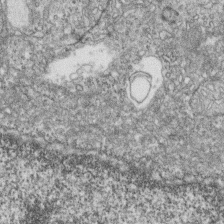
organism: Zebrafish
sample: Cilia; retinal pigment epithelium